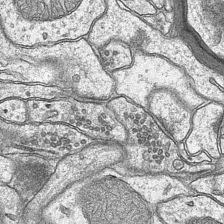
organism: Mouse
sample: CA1 Hippocampus